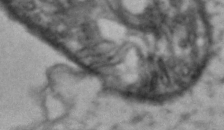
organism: Drosophila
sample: Brain